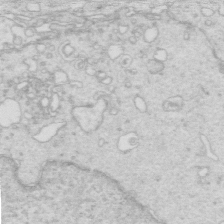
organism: Mouse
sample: Multiciliated cells